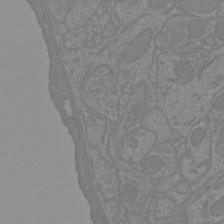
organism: Mouse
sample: Cortical neurons